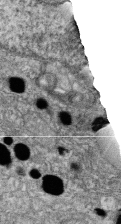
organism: Zebrafish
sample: Cilia; retinal pigment epithelium